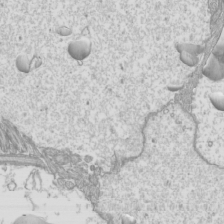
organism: Mouse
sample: Cilia; mouse epididymis